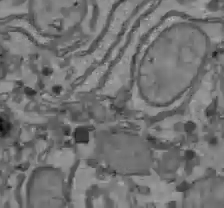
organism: C57BL Mouse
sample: Liver